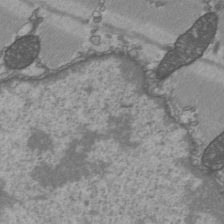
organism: C57BL Mouse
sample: Heart